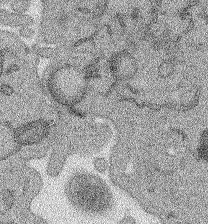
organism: Human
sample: HeLa cells